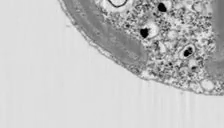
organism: Chlamydomonas reinhardtii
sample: Whole Cell